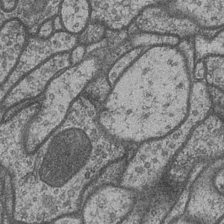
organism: Drosophila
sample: Optic medulla